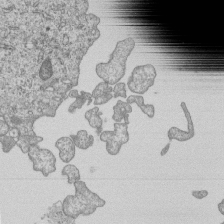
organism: Human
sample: MDA-MB-231 cells